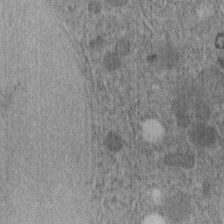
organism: C. elegans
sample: C. elegans embryo early stage